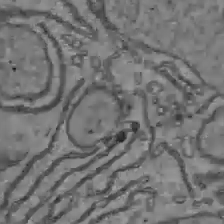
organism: C57BL Mouse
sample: Liver